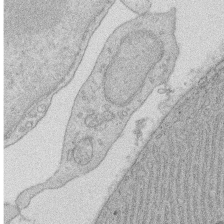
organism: Rat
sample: Salivary granule